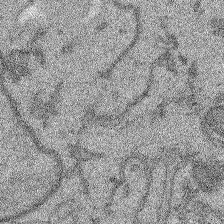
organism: Human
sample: HeLa cells